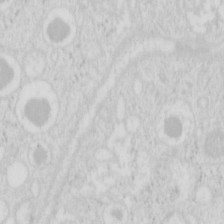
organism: Mouse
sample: Pancreas